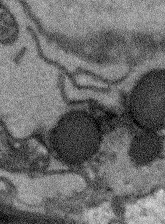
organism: Arabidopsis thaliana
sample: Root tip